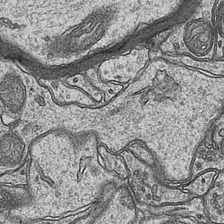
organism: Mouse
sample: CA1 Hippocampus